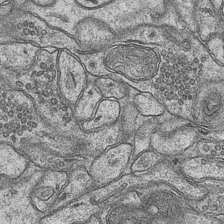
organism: Mouse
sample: CA1 Hippocampus